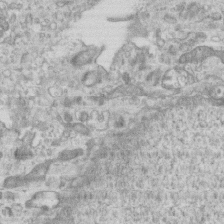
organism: Mouse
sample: Centriole in ependymal cells